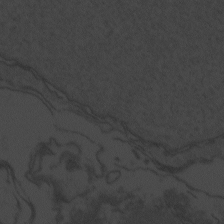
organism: Zebrafish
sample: Macrophage infected with Toxoplasma gondii